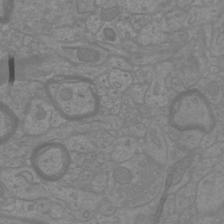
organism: Mouse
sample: Cortical neurons